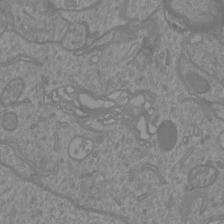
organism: Mouse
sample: Cortical neurons